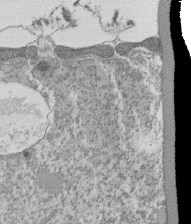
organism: Tetrahymena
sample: Cilia in tetrahymena